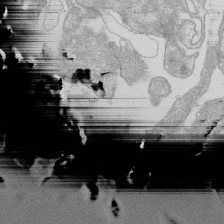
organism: Mouse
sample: Macrophages